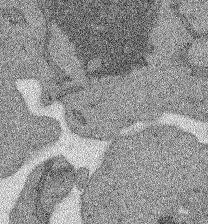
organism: Human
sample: HeLa cells